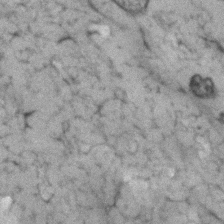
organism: Human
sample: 1205lu cells